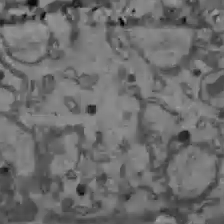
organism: C57BL Mouse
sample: Liver